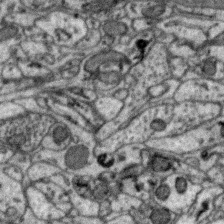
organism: Zebra finch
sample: Brain